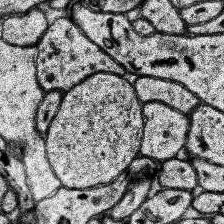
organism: Human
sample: Temporal Lobe